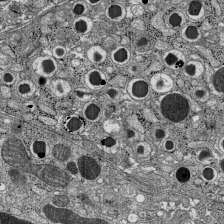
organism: C57BL Mouse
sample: Pancreatic islet